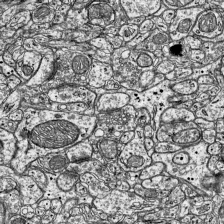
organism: Mouse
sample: Visual Cortex